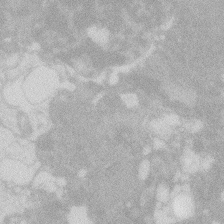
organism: Zebrafish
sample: Macrophage